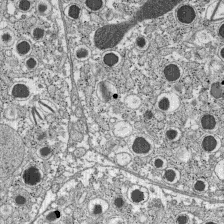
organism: C57BL Mouse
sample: Pancreatic islet